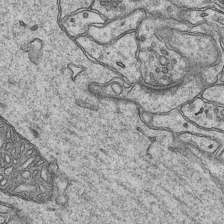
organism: Mouse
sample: CA1 Hippocampus